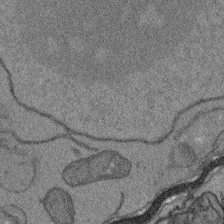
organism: Arabidopsis thaliana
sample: Root tip